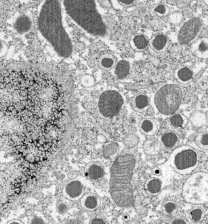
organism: C57BL Mouse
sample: Pancreatic islet